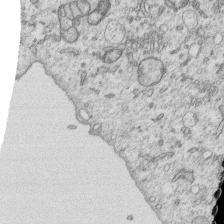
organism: Human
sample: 1205lu cells